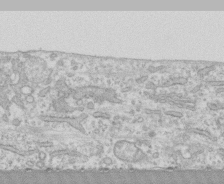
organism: Human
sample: CRL-1474